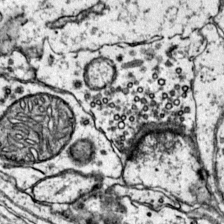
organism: Mouse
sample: Primary visual cortex